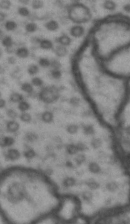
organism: Drosophila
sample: Brain